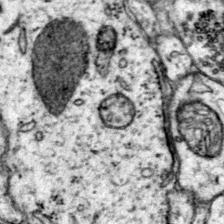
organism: Mouse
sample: Primary visual cortex